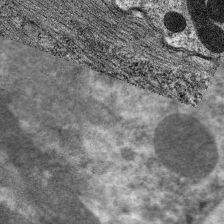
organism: C. elegans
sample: Pharynx